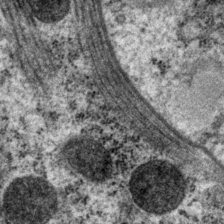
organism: P. pacificus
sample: Pharynx